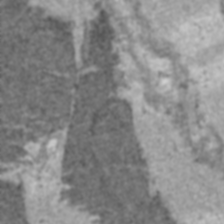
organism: C57BL Mouse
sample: Heart